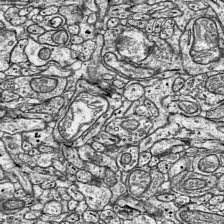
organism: Mouse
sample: Visual Cortex